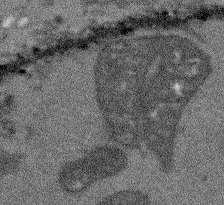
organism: Arabidopsis thaliana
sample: Root tip